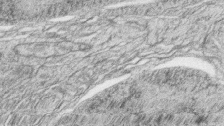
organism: Zebrafish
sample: synaptic ribbons in rod cells and cone cells